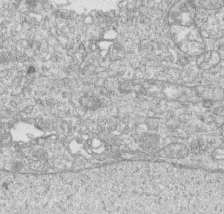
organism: Human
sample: HeLa cell HIV synapse